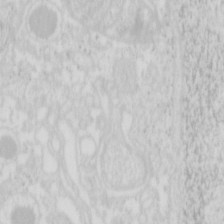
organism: Mouse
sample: Pancreas